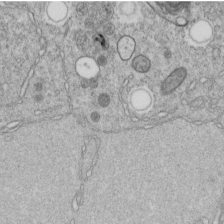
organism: C. elegans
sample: C. elegans embryo early stage